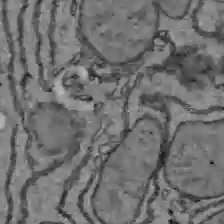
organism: C57BL Mouse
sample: Liver